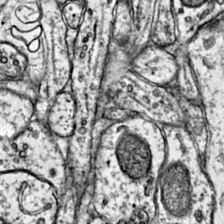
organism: Mouse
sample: Primary visual cortex